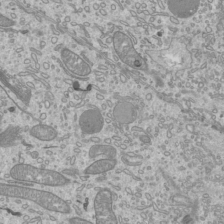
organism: Mouse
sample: Cilia; mouse epididymis